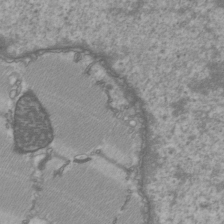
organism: C57BL Mouse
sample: Heart